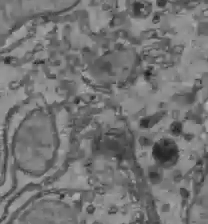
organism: C57BL Mouse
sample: Liver